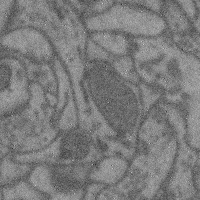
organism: Mouse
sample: Cerebral cortex